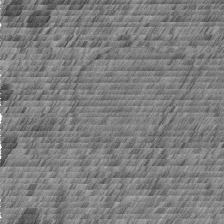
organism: C. elegans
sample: C. elegans embryo early stage